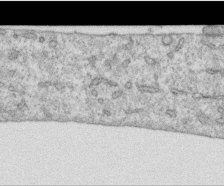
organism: Human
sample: Centriole in RPE cells